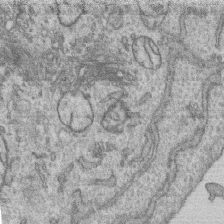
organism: Human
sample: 1205lu cells